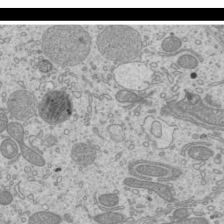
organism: Mouse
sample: Cilia; mouse epididymis